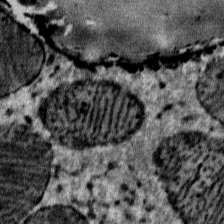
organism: Mouse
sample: Mouse Salivary gland